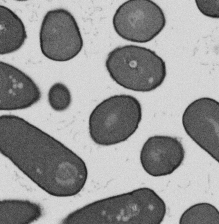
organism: B. subtilis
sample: Bacterial spore